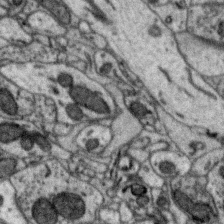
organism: Zebra finch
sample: Brain